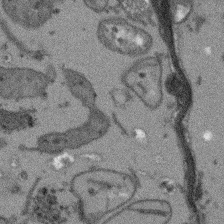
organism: Arabidopsis thaliana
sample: Root tip